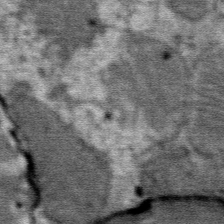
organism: Mouse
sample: Mouse Salivary gland